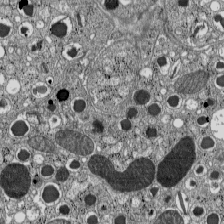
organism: C57BL Mouse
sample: Pancreatic islet